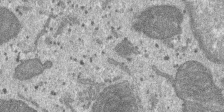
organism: Human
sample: Lung epithelial cells infected with SARS-CoV-2